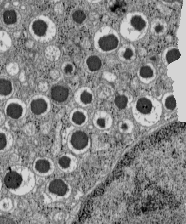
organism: C57BL Mouse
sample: Pancreatic islet